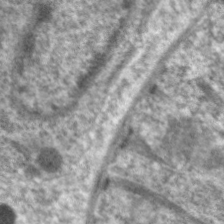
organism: C. elegans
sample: Pharynx